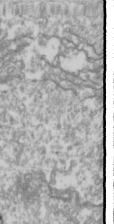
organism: Drosophila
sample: Cell division; meiosis; drosophila spermatocytes